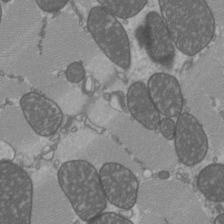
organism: C57BL Mouse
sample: Heart